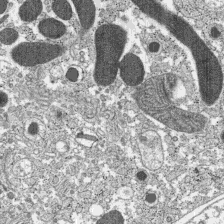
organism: C57BL Mouse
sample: Pancreatic islet